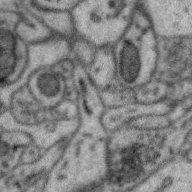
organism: Zebra finch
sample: Brain